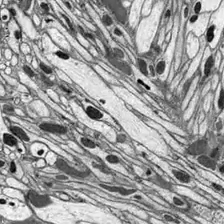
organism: Drosophila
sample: Optic lobe